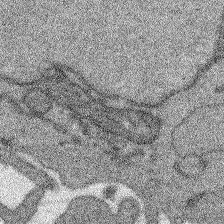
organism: Human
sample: HeLa cells